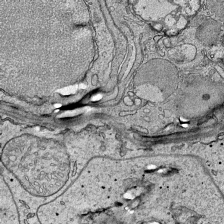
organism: Mouse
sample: Visual Cortex